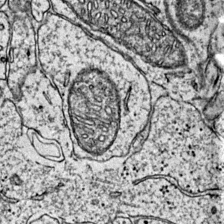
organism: Mouse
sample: Primary visual cortex